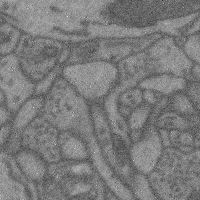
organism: Mouse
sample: Cerebral cortex